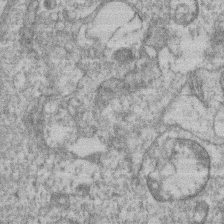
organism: Mouse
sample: T cell stromal cell synapse